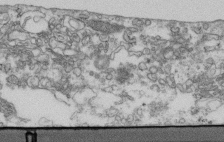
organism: Human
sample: Centriole in fibroblast cells